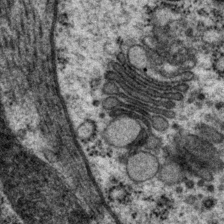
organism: P. pacificus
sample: Pharynx